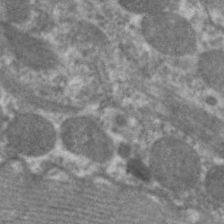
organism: C. elegans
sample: Pharynx